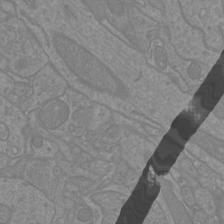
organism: Mouse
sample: Cortical neurons